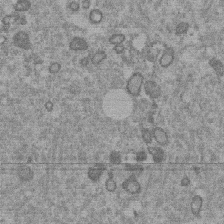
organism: Mouse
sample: Dividing mouse embryo 1 cell stage